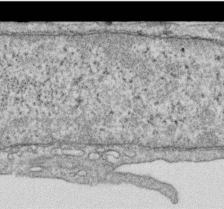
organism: Human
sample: Centriole in RPE cells